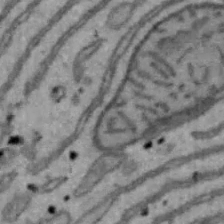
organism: Mouse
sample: Liver